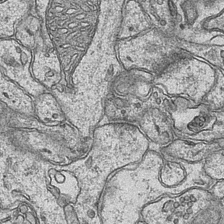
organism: Mouse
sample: CA1 Hippocampus